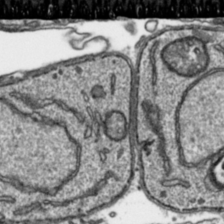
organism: Toxoplasma gondii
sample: Parasites in a vacuole inside a host cell